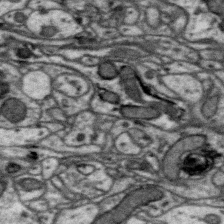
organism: Zebra finch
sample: Brain